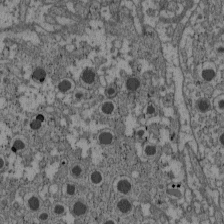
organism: C57BL Mouse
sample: Pancreatic islet